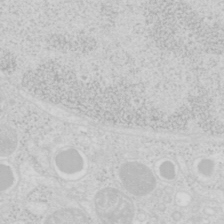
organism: Mouse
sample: Pancreas